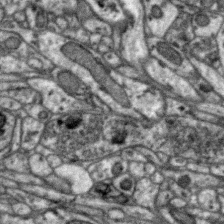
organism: Zebra finch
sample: Brain